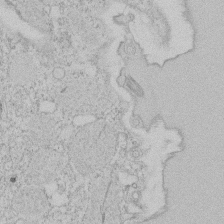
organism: Tetrahymena